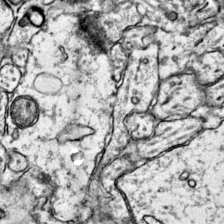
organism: Mouse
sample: Primary visual cortex